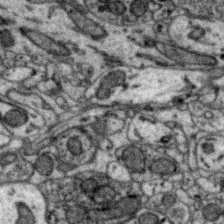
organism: Zebra finch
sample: Brain